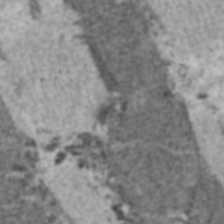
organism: C57BL Mouse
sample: Heart